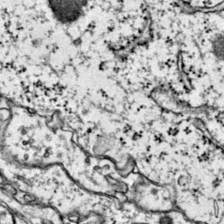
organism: Mouse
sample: Primary visual cortex